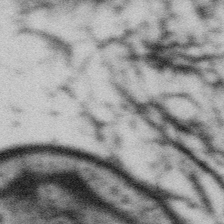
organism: Gemmata obscuriglobus